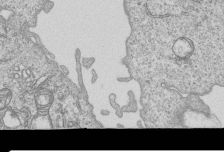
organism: Human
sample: MDA-MB-231 cells